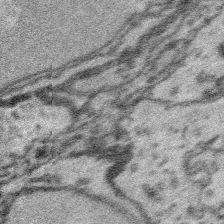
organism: Platynereis dumerilii